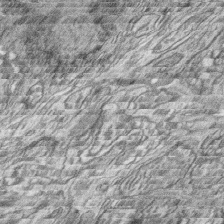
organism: Zebrafish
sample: synaptic ribbons in rod cells and cone cells